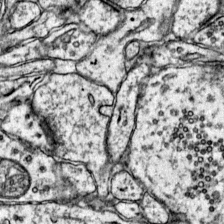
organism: Mouse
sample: Primary visual cortex